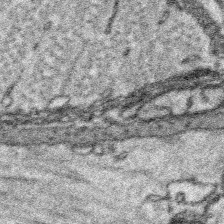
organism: Platynereis dumerilii